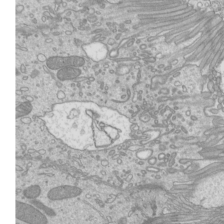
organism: Mouse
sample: Cilia; mouse epididymis